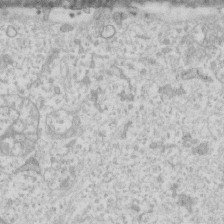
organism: Human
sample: Fibroblast cells